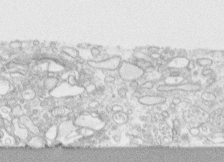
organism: Human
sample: CRL-1474